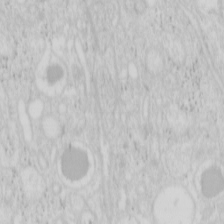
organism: Mouse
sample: Pancreas